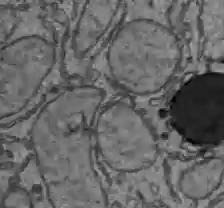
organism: C57BL Mouse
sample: Liver